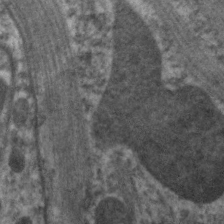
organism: C. elegans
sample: Pharynx